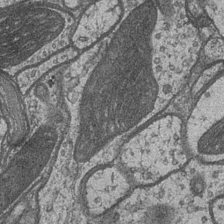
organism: Drosophila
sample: Optic medulla